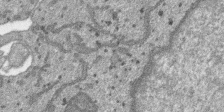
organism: Human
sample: Lung epithelial cells infected with SARS-CoV-2